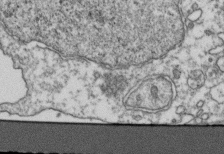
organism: Human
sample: Activated Jurkat CD4+ T cells